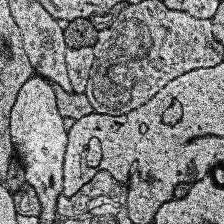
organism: Human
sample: Temporal Lobe